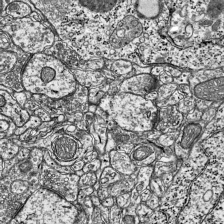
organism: Mouse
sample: Visual Cortex